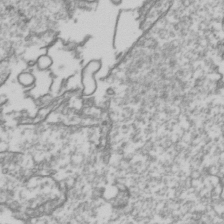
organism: Drosophila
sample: Cell division; meiosis; drosophila spermatocytes